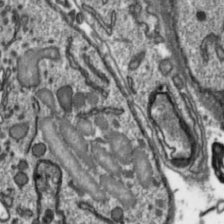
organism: Toxoplasma gondii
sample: Parasites in a vacuole inside a host cell